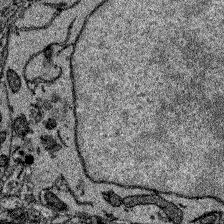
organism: Zebrafish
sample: Larval olfactory bulb